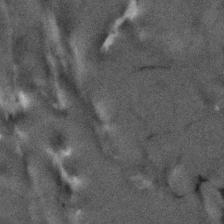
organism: Human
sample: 1205lu cells